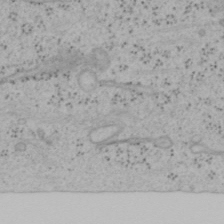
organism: Human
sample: HeLa cells